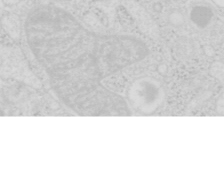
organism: Mouse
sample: Pancreas